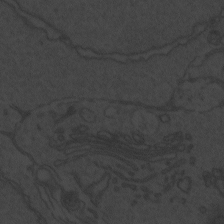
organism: Zebrafish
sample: Macrophage infected with Toxoplasma gondii